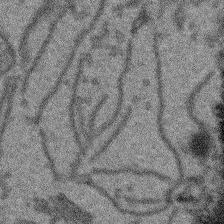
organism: Arabidopsis thaliana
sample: Root tip